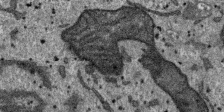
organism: Human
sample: Lung epithelial cells, uninfected (mock) control